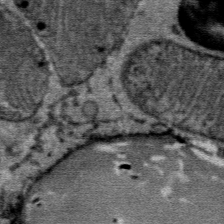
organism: Mouse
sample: Mouse Salivary gland